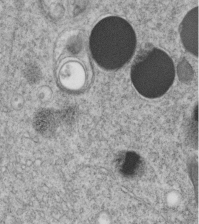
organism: C. elegans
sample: C. elegans embryo early stage